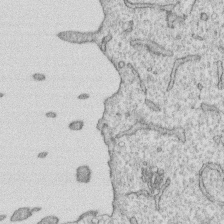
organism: Human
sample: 1205lu cells